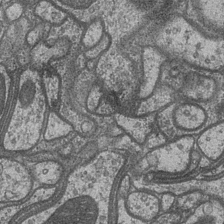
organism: Drosophila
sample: Optic medulla